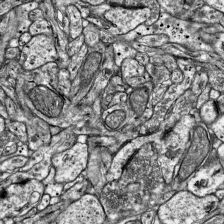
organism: Mouse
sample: Visual Cortex